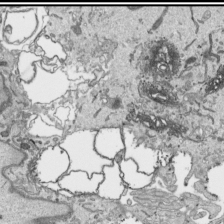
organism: Human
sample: Mitochondria in HCT116 cells